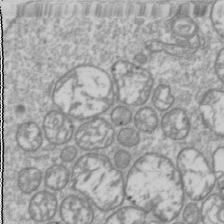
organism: Drosophila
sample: Cell division; meiosis; drosophila spermatocytes